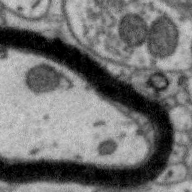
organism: Zebra finch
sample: Brain